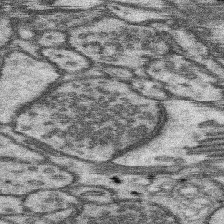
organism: Mouse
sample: Somatosensory cortex neuropil